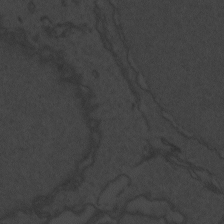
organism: Zebrafish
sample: Macrophage infected with Toxoplasma gondii